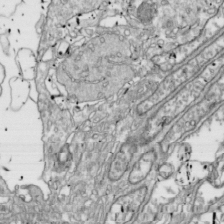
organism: Drosophila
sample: Cell division; meiosis; drosophila spermatocytes